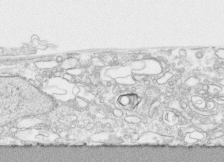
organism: Human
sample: CRL-1474